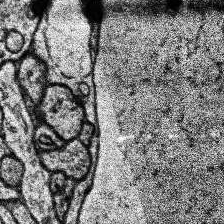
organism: Human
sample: Temporal Lobe